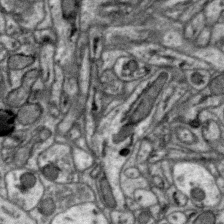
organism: Zebra finch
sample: Brain